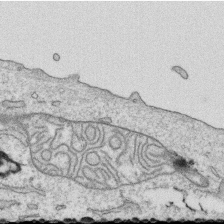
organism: Human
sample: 1205lu cells